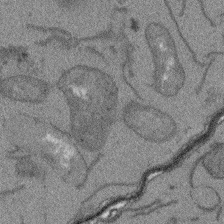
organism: Arabidopsis thaliana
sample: Root tip